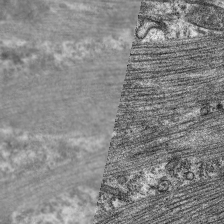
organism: C. elegans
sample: Pharynx